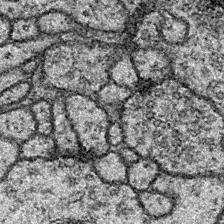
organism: Drosophila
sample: Ventral Nerve Cord